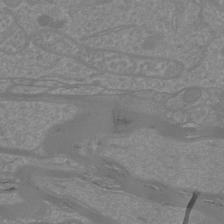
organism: Mouse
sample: Cortical neurons